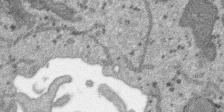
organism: Human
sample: Lung epithelial cells infected with SARS-CoV-2